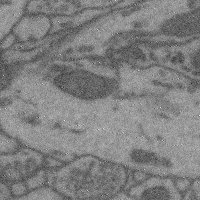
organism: Mouse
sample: Cerebral cortex